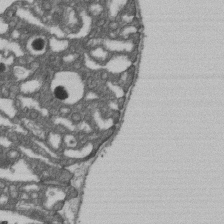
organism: Drosophila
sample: Nephrocyte